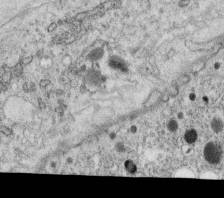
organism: C. elegans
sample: C. elegans oocyte; sperm cells